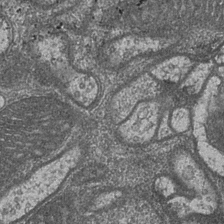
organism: Drosophila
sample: Optic medulla